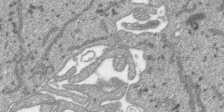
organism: Human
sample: Lung epithelial cells infected with SARS-CoV-2